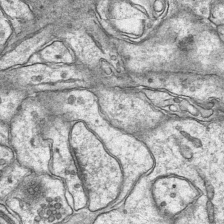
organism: Mouse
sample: CA1 Hippocampus